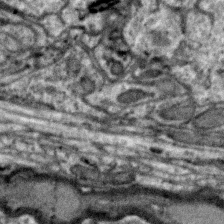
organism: Zebra finch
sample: Brain